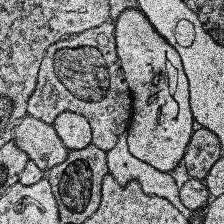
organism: Human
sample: Temporal Lobe